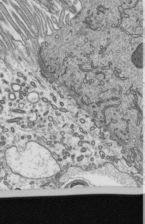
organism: Mouse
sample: Mouse epididymis efferent ductule cilia